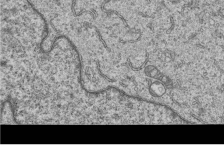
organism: Human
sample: MDA-MB-231 cells